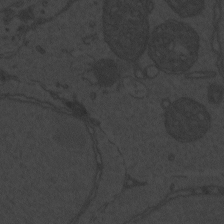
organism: Zebrafish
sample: Macrophage infected with Toxoplasma gondii